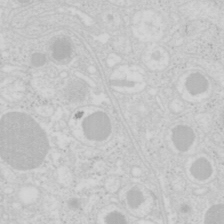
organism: Mouse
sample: Pancreas